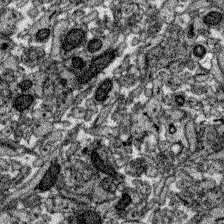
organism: Zebrafish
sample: Larval olfactory bulb